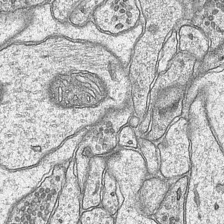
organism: Mouse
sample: CA1 Hippocampus